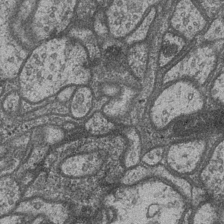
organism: Drosophila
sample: Optic medulla